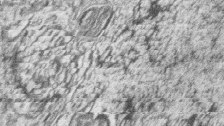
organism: Zebrafish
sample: synaptic ribbons in rod cells and cone cells